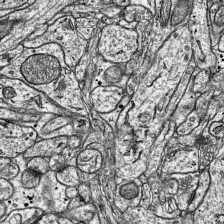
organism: Mouse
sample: Visual Cortex